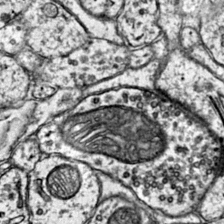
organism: Mouse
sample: Primary visual cortex